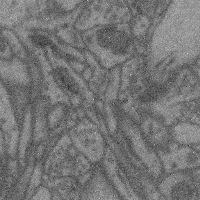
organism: Mouse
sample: Cerebral cortex